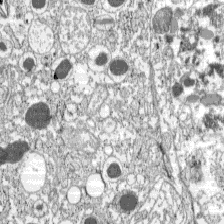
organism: C57BL Mouse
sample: Pancreatic islet